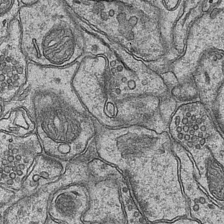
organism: Mouse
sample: CA1 Hippocampus